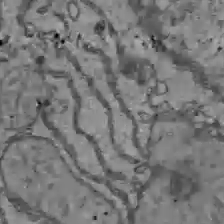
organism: C57BL Mouse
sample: Liver